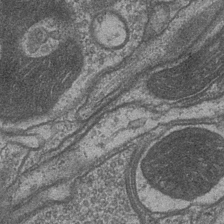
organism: Drosophila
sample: Optic medulla